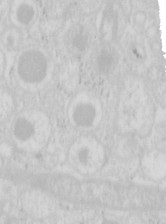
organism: Mouse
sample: Pancreas